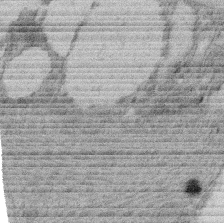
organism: Rat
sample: Salivary granule